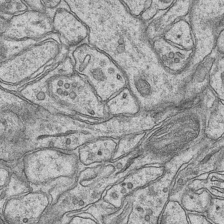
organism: Mouse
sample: CA1 Hippocampus